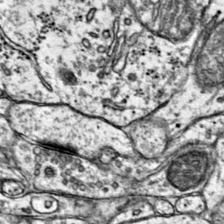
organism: Mouse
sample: Primary visual cortex